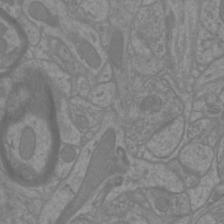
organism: Mouse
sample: Cortical neurons